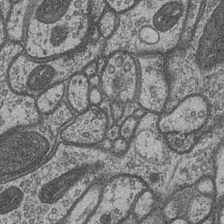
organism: Drosophila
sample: Optic medulla